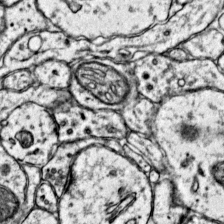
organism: Mouse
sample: Primary visual cortex